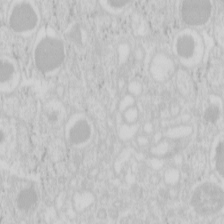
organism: Mouse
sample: Pancreas